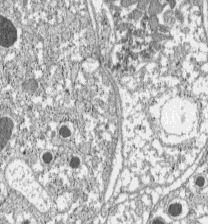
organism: C57BL Mouse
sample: Pancreatic islet